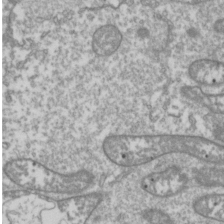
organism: Drosophila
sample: Cell division; meiosis; drosophila spermatocytes